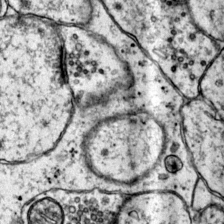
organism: Mouse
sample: Primary visual cortex